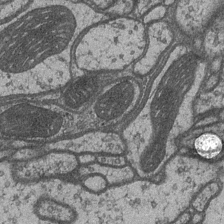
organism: Drosophila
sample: Optic medulla